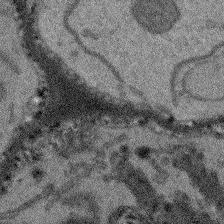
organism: Arabidopsis thaliana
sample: Root tip